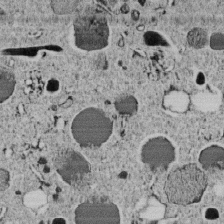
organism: C. elegans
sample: C. elegans embryo early stage